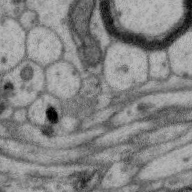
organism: Zebra finch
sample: Brain